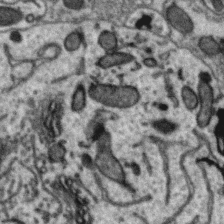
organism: Zebra finch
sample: Brain